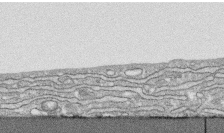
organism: Human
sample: CRL-1474